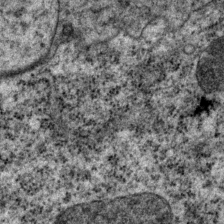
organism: P. pacificus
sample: Pharynx